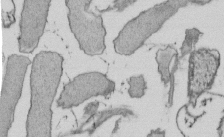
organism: E. coli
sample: Bacterial nucleoid